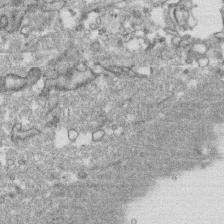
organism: Human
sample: CRL-1474